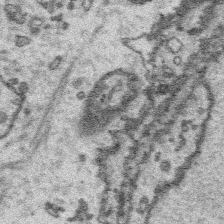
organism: Platynereis dumerilii